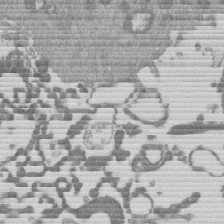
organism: Mouse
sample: Dividing mouse embryo 1 cell stage